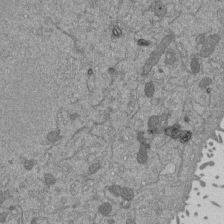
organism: Mouse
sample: ED-1 cell nuclei; centrioles